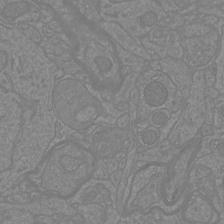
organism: Mouse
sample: Cortical neurons